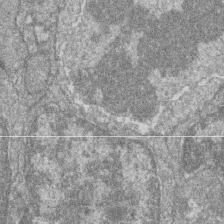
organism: Zebrafish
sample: Cilia; retinal pigment epithelium